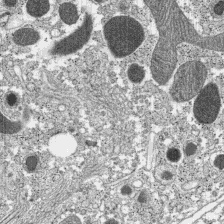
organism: C57BL Mouse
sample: Pancreatic islet